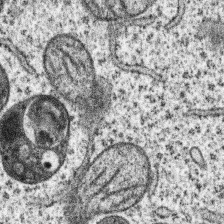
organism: Human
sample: HeLa cells